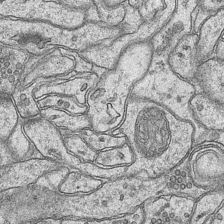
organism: Mouse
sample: CA1 Hippocampus